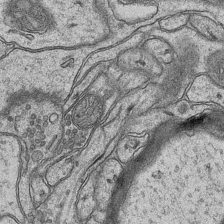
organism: Mouse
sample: CA1 Hippocampus